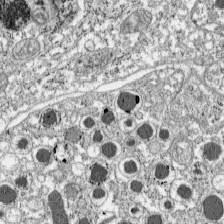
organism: C57BL Mouse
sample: Pancreatic islet